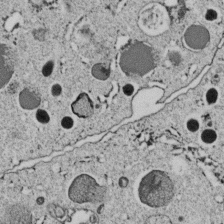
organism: C. elegans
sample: C. elegans embryo early stage